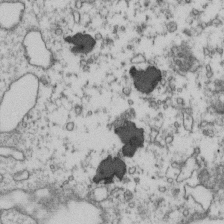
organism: Human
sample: Activated Jurkat CD4+ T cells